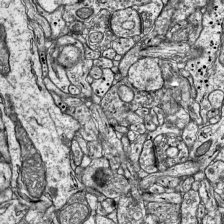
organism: Mouse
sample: Visual Cortex